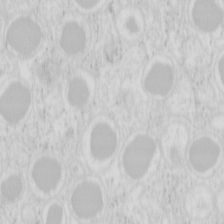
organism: Mouse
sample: Pancreas